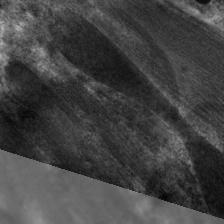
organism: C. elegans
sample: Pharynx